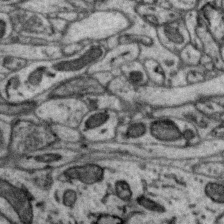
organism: Zebra finch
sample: Brain